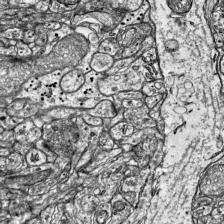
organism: Mouse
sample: Visual Cortex